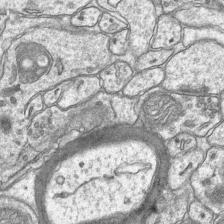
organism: Mouse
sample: CA1 Hippocampus